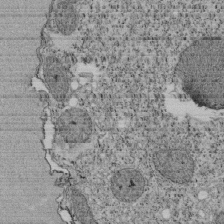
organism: Tetrahymena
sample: Cilia in tetrahymena